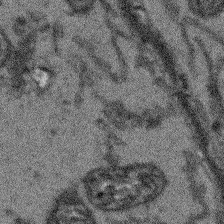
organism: Arabidopsis thaliana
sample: Root tip